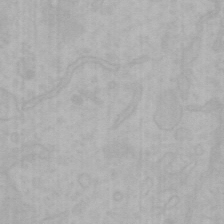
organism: Mouse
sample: Choroid plexus